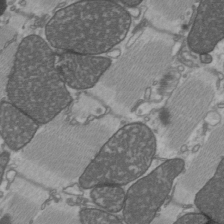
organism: C57BL Mouse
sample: Heart